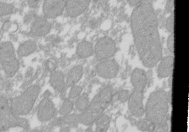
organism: Xenopus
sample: Cilia; centrioles in frog embryo cells